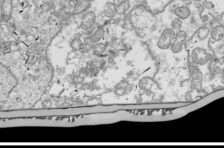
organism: Drosophila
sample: Cell division; meiosis; drosophila spermatocytes